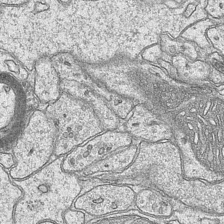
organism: Mouse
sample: CA1 Hippocampus